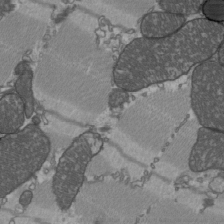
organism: C57BL Mouse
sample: Heart